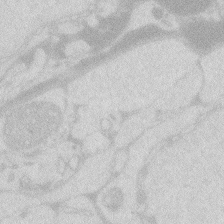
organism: Zebrafish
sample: Macrophage